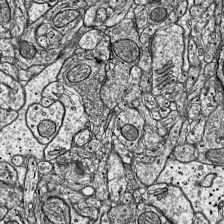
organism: Mouse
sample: Visual Cortex